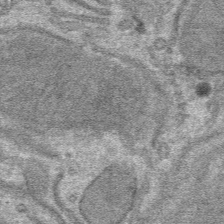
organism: Mouse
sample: Mouse hepatocytes